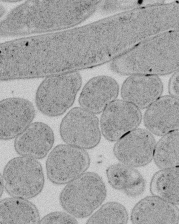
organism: E. coli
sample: Bacterial nucleoid